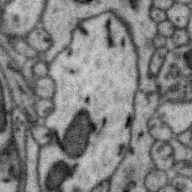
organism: Zebra finch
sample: Brain